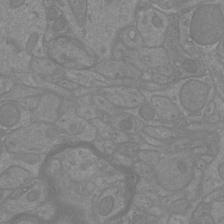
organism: Mouse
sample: Cortical neurons